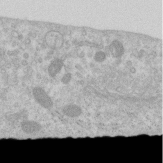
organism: Human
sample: Centriole in RPE cells